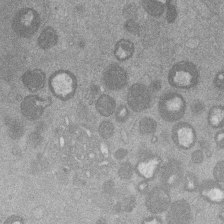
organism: Mouse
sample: Dividing mouse embryo 1 cell stage